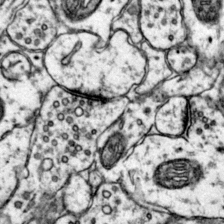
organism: Mouse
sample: Primary visual cortex